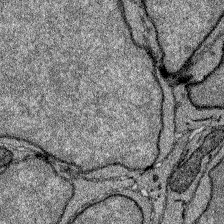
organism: Zebrafish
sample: Larval olfactory bulb